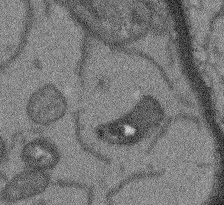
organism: Arabidopsis thaliana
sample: Root tip